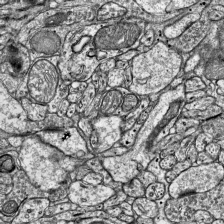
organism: Mouse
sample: Visual Cortex